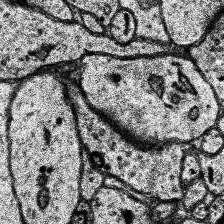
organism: Human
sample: Temporal Lobe